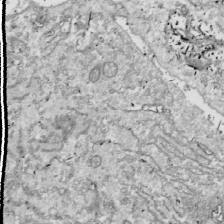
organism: Drosophila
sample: Cell division; meiosis; drosophila spermatocytes